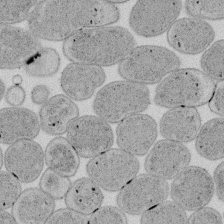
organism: E. coli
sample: Bacterial nucleoid